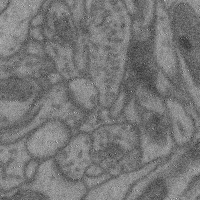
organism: Mouse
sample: Cerebral cortex